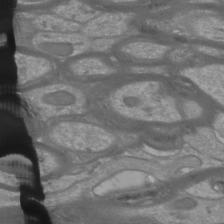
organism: Mouse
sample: Cortical neurons